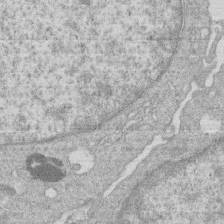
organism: Human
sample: Macrophage cells